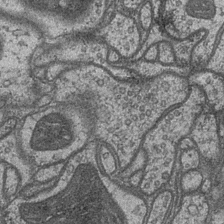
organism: Drosophila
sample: Optic medulla